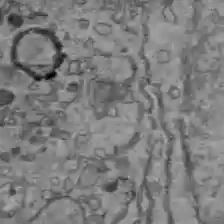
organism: C57BL Mouse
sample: Liver